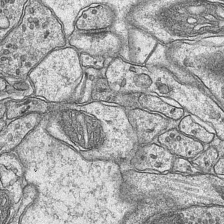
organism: Mouse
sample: CA1 Hippocampus